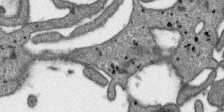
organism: Human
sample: Lung epithelial cells, uninfected (mock) control